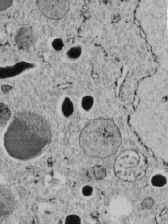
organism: C. elegans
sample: C. elegans embryo early stage